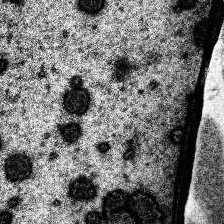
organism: Human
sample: Temporal Lobe